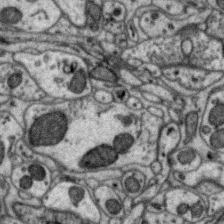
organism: Zebra finch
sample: Brain